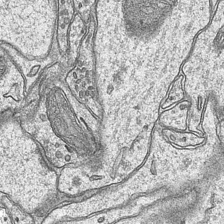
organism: Mouse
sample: CA1 Hippocampus